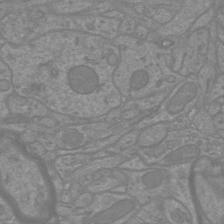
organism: Mouse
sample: Cortical neurons